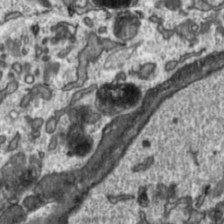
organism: Toxoplasma gondii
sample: Parasites in a vacuole inside a host cell